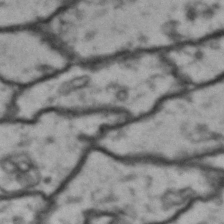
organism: Drosophila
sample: Brain